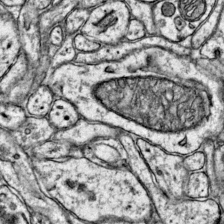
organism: Mouse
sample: Primary visual cortex